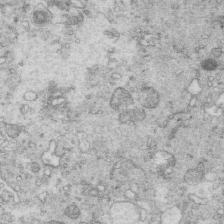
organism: Mouse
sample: Multiciliated cells